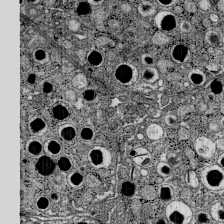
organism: C57BL Mouse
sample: Pancreatic islet